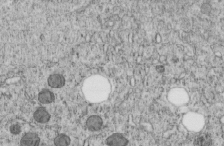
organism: C. elegans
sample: C. elegans embryo early stage